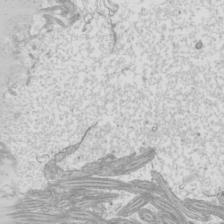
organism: Mouse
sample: Cilia; mouse epididymis